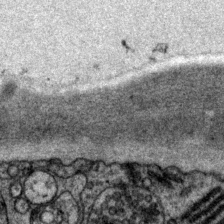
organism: P. pacificus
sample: Pharynx